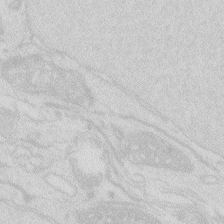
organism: Zebrafish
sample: Macrophage